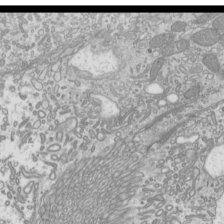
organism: Mouse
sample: Cilia; mouse epididymis